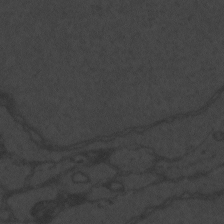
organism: Zebrafish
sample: Macrophage infected with Toxoplasma gondii